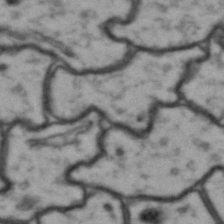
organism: Drosophila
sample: Brain